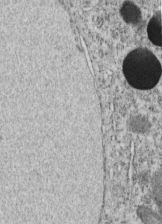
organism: C. elegans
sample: C. elegans embryo early stage